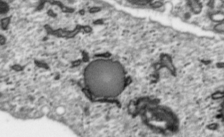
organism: Toxoplasma gondii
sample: Parasites in a vacuole inside a host cell